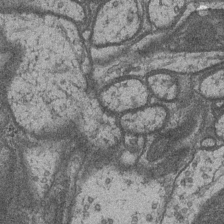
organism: Drosophila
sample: Optic medulla